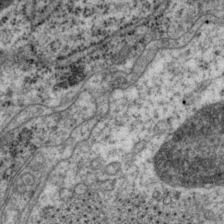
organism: P. pacificus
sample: Pharynx